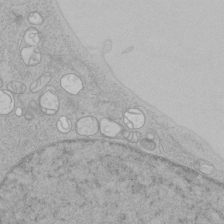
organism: Human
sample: Mitochondria in HCT116 cells